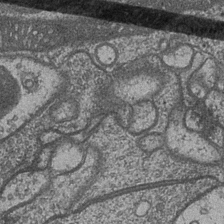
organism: Drosophila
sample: Optic medulla